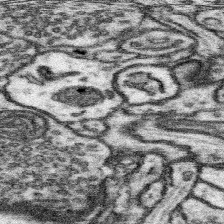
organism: Mouse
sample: Somatosensory cortex neuropil